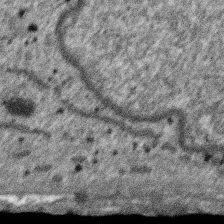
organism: Human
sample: Lung epithelial cells infected with SARS-CoV-2